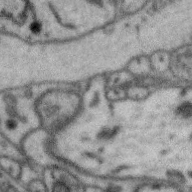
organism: Zebra finch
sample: Brain